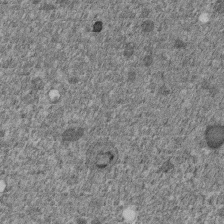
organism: C. elegans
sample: C. elegans embryo early stage